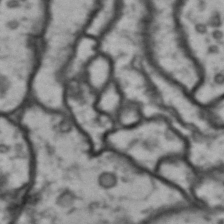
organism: Drosophila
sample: Brain